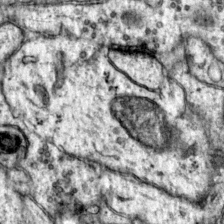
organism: Mouse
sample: Primary visual cortex